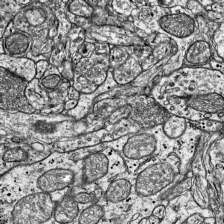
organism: Mouse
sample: Visual Cortex